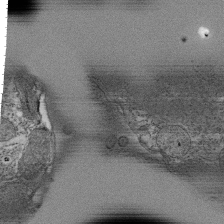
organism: Tetrahymena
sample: Cilia in tetrahymena